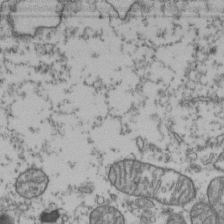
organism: Human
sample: Activated Jurkat CD4+ T cells